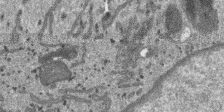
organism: Human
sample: Lung epithelial cells infected with SARS-CoV-2